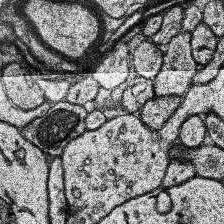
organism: Human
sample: Temporal Lobe